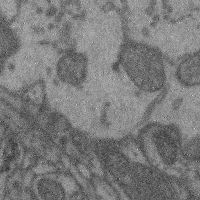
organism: Mouse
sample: Cerebral cortex